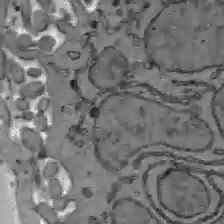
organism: C57BL Mouse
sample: Liver